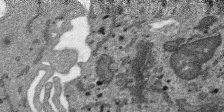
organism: Human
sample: Lung epithelial cells infected with SARS-CoV-2